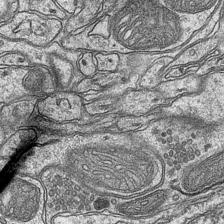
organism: Mouse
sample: CA1 Hippocampus